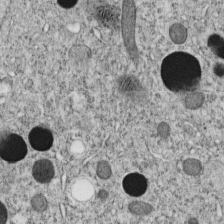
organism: C. elegans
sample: C. elegans embryo early stage